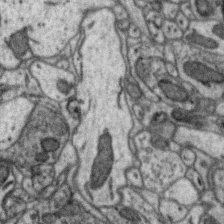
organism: Zebra finch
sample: Brain